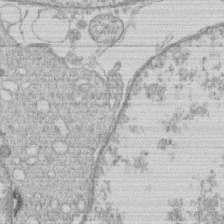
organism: Human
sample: Macrophage cells